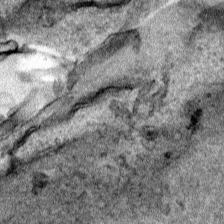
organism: Human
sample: Mitochondria in HCT116 cells